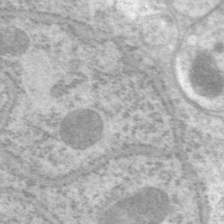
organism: P. pacificus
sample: Pharynx